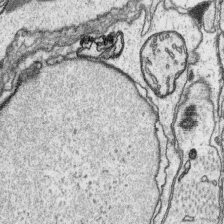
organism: Platynereis dumerilii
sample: Parapodia